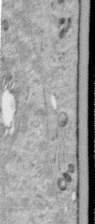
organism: Human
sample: Centriole in RPE cells